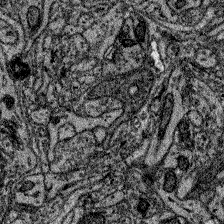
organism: Zebrafish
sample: Larval olfactory bulb